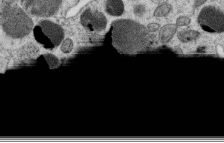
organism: C. elegans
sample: C. elegans oocyte; sperm cells